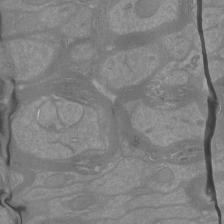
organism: Mouse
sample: Cortical neurons